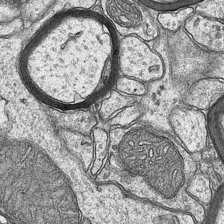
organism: Mouse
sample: CA1 Hippocampus